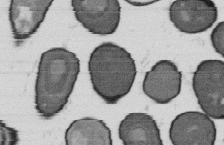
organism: B. subtilis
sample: Bacterial spore